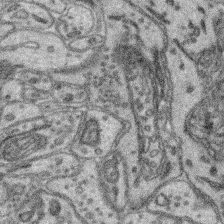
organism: Mouse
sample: Retina